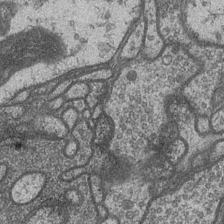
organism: Drosophila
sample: Optic medulla